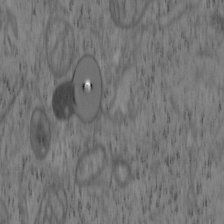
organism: Human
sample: HeLa cells